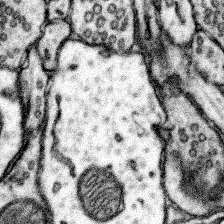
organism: Mouse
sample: Somatosensory cortex neuropil